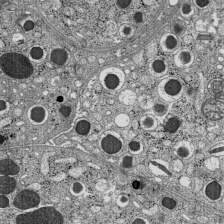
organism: C57BL Mouse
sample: Pancreatic islet